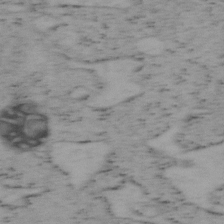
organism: Mouse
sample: OT-I killer T cells with ID8 ovarian cancer cells